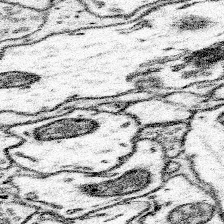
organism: Mouse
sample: Somatosensory cortex neuropil